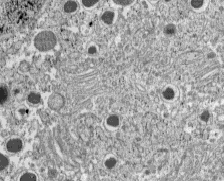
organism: C57BL Mouse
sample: Pancreatic islet